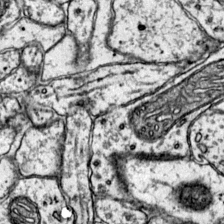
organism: Mouse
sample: Primary visual cortex